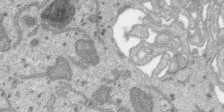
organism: Human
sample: Lung epithelial cells infected with SARS-CoV-2